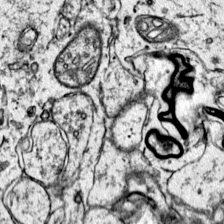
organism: Mouse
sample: Primary visual cortex